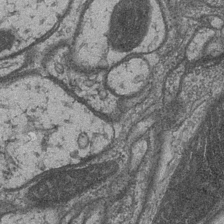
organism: Drosophila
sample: Optic medulla